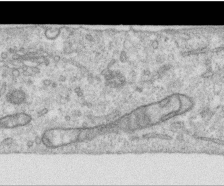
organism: Human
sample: Centriole in RPE cells